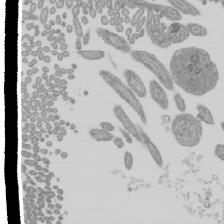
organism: Mouse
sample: Cilia; mouse epididymis